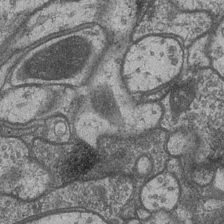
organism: Drosophila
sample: Optic medulla